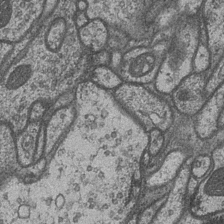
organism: Drosophila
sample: Optic medulla